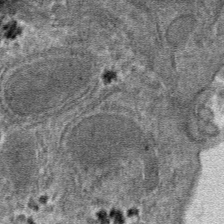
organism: Mouse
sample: Mouse hepatocytes